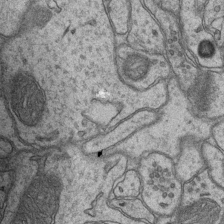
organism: Mouse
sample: CA1 Hippocampus